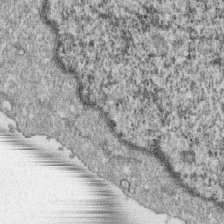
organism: African green monkey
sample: Vero E6 cells infected with SARS-CoV-2